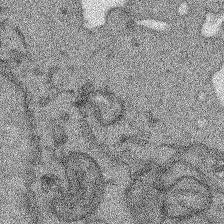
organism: Human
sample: HeLa cells